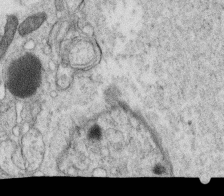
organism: C. elegans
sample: C. elegans oocyte; sperm cells